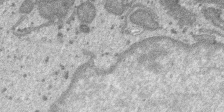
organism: Human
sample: Lung epithelial cells infected with SARS-CoV-2